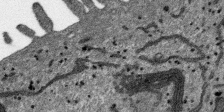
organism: Human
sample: Lung epithelial cells, uninfected (mock) control